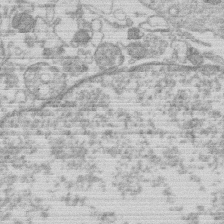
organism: Human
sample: Macrophage cells